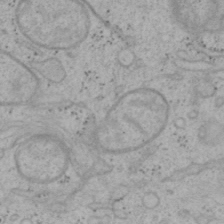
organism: Human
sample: HeLa cells